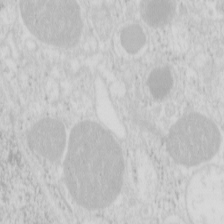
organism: Mouse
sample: Pancreas